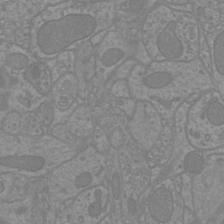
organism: Mouse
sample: Cortical neurons